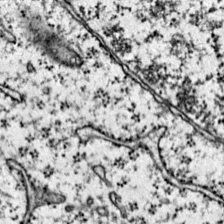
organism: Mouse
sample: Primary visual cortex